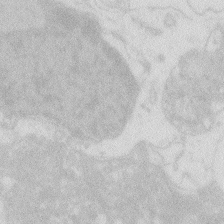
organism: Zebrafish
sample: Macrophage